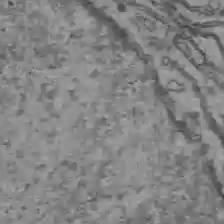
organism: C57BL Mouse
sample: Liver